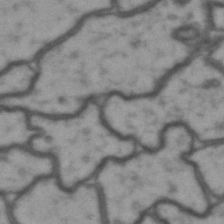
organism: Drosophila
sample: Brain